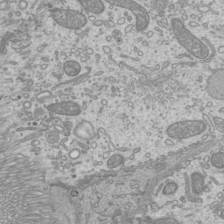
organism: Mouse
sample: Cilia; mouse epididymis